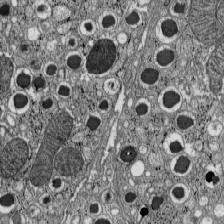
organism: C57BL Mouse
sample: Pancreatic islet